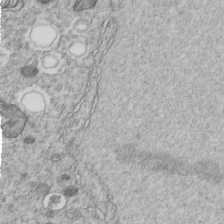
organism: C. elegans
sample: C. elegans embryo early stage